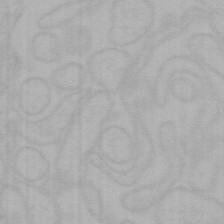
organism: Mouse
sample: Choroid plexus